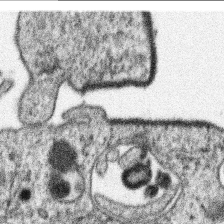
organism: Human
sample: HeLa cells